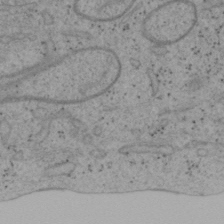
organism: Human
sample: HeLa cells